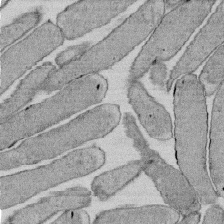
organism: E. coli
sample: Bacterial nucleoid